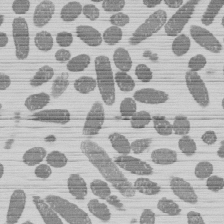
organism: E. coli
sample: Bacterial nucleoid